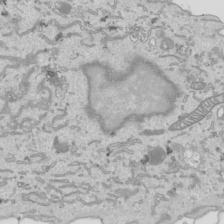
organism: Human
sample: Mitochondria in HCT116 cells